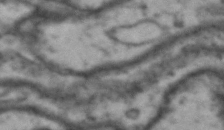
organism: Drosophila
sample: Brain